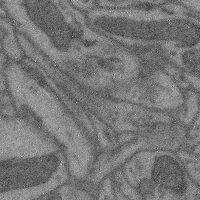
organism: Mouse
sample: Cerebral cortex